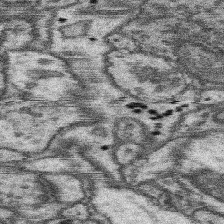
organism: Mouse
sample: Somatosensory cortex neuropil